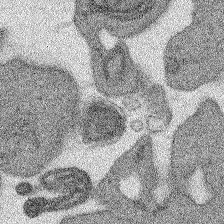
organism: Human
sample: HeLa cells